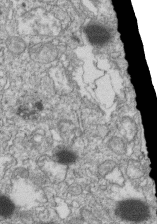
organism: Human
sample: HeLa cell HIV synapse